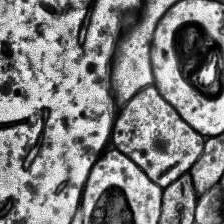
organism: Human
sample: Temporal Lobe